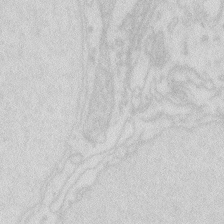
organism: Zebrafish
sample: Macrophage